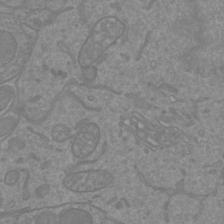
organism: Mouse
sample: Cortical neurons